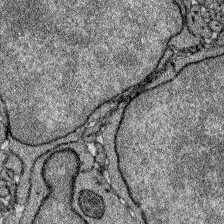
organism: Zebrafish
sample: Larval olfactory bulb